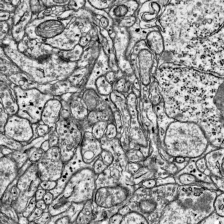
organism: Mouse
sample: Visual Cortex